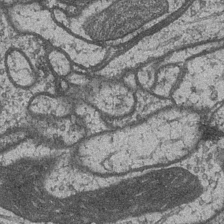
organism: Drosophila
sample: Optic medulla